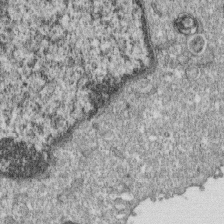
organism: African green monkey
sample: Vero E6 cells infected with SARS-CoV-2